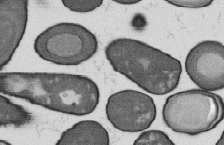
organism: B. subtilis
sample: Bacterial spore